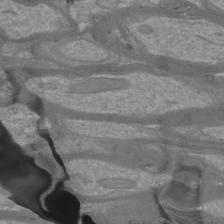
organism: Mouse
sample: Cortical neurons